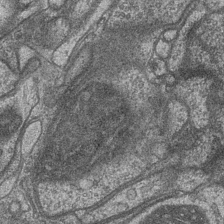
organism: Drosophila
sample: Optic medulla